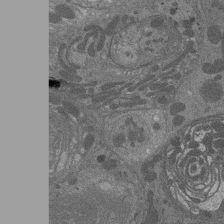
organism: Drosophila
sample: Antenna